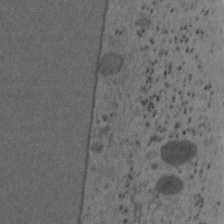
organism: Human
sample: HeLa cells